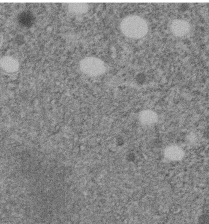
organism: C. elegans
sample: C. elegans embryo early stage